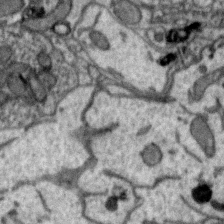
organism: Zebra finch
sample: Brain